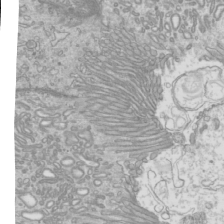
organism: Mouse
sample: Cilia; mouse epididymis